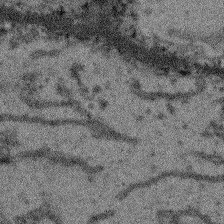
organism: Arabidopsis thaliana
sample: Root tip